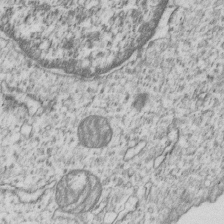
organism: Human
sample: MDA-MB-231 cells